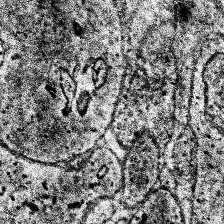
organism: Human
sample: Temporal Lobe